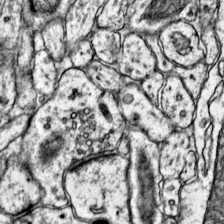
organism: Mouse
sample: Primary visual cortex